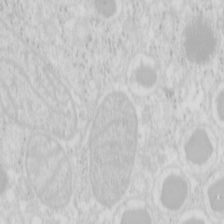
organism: Mouse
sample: Pancreas